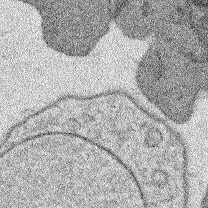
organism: Human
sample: HeLa cells